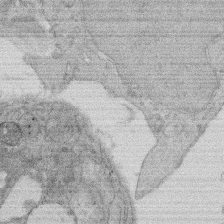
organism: Rat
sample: Salivary granule